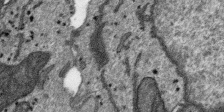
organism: Human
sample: Lung epithelial cells, uninfected (mock) control